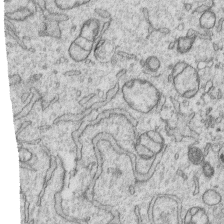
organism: Human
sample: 1205lu cells